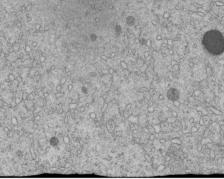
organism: C. elegans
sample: C. elegans embryo early stage